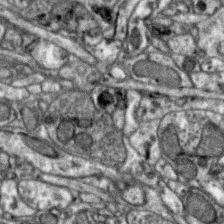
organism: Zebra finch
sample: Brain